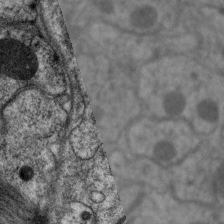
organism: C. elegans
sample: Pharynx